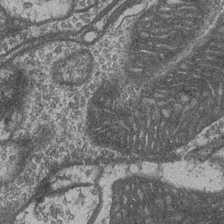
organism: Drosophila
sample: Optic medulla